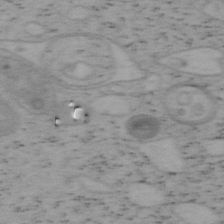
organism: Mouse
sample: OT-I killer T cells with ID8 ovarian cancer cells